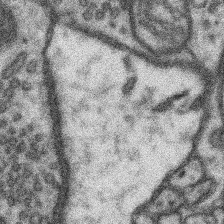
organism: Mouse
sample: Somatosensory cortex neuropil